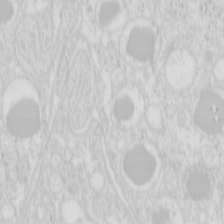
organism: Mouse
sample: Pancreas